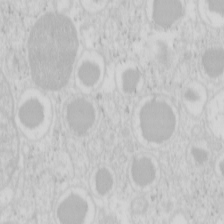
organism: Mouse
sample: Pancreas